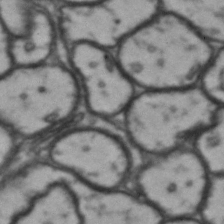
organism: Drosophila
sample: Brain